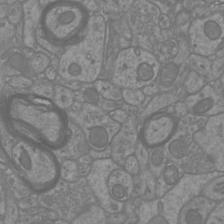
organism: Mouse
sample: Cortical neurons